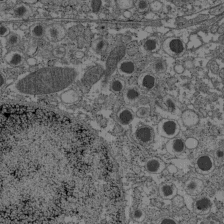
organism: C57BL Mouse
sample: Pancreatic islet